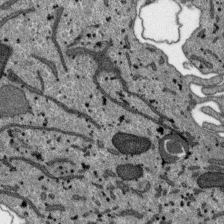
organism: Human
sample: Lung epithelial cells, uninfected (mock) control